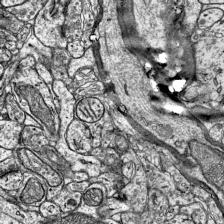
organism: Mouse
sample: Visual Cortex